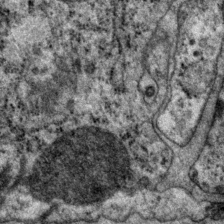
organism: P. pacificus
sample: Pharynx